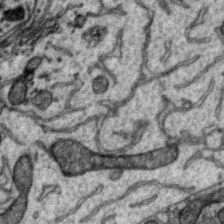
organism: Zebra finch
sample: Brain